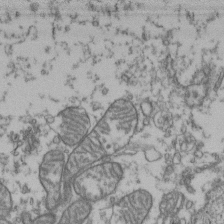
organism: Human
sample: Activated Jurkat CD4+ T cells